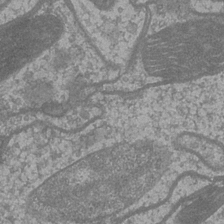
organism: Drosophila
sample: Optic medulla